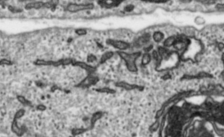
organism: Toxoplasma gondii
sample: Parasites in a vacuole inside a host cell